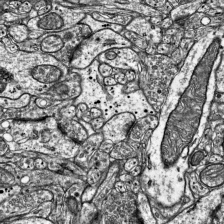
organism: Mouse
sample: Visual Cortex